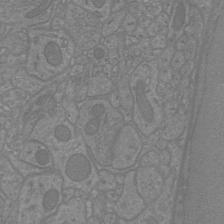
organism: Mouse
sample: Cortical neurons